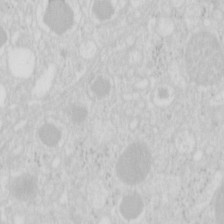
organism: Mouse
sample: Pancreas